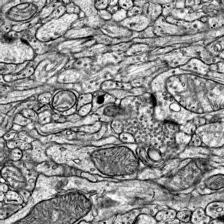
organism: Mouse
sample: Visual Cortex